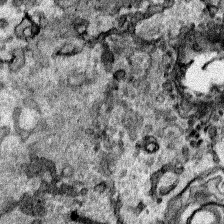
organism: Human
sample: Mitochondria in HCT116 cells